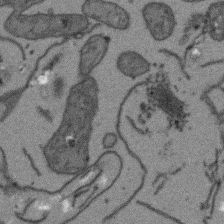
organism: Arabidopsis thaliana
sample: Root tip